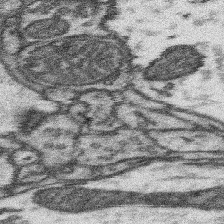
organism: Mouse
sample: Somatosensory cortex neuropil